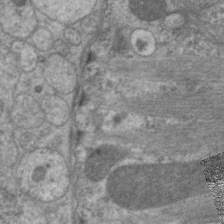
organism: C. elegans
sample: Pharynx